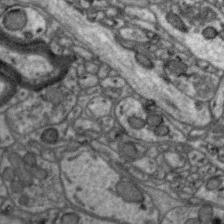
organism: Zebra finch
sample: Brain